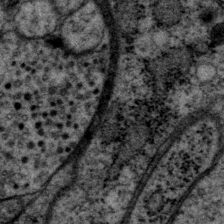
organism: P. pacificus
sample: Pharynx